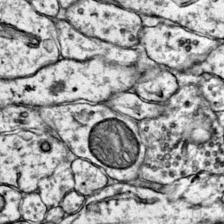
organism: Mouse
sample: Primary visual cortex